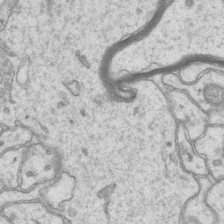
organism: Mouse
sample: CA1 Hippocampus